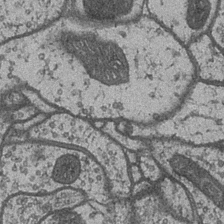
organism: Drosophila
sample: Optic medulla